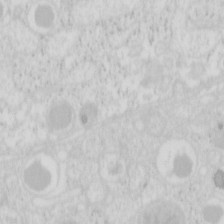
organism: Mouse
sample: Pancreas